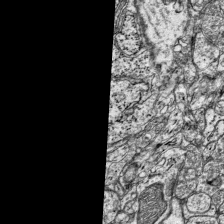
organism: Mouse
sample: Visual Cortex